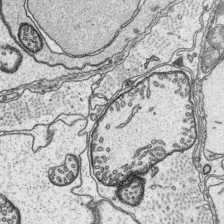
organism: Platynereis dumerilii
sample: Parapodia